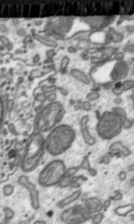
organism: Toxoplasma gondii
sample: Parasites in a vacuole inside a host cell